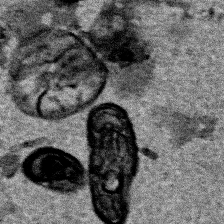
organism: Human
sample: Mitochondria in HCT116 cells